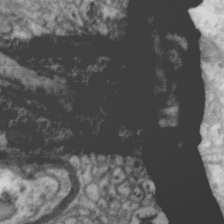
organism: Zebra finch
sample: Brain